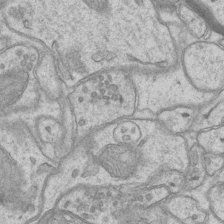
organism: Mouse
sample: CA1 Hippocampus